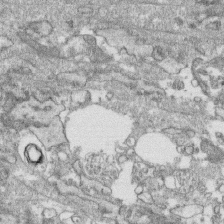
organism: Human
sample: CRL-1474